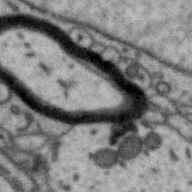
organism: Zebra finch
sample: Brain